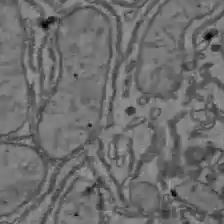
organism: C57BL Mouse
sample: Liver